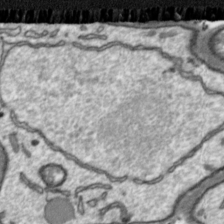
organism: Toxoplasma gondii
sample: Parasites in a vacuole inside a host cell